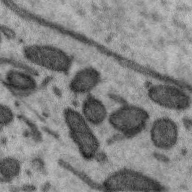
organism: Zebra finch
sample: Brain